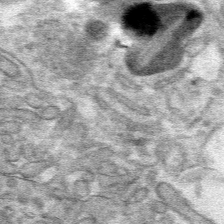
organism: Mouse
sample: Mouse hepatocytes